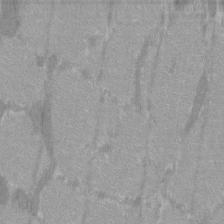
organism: C57BL Mouse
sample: Tibialis anterior muscle cell